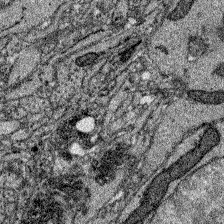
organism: Zebrafish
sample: Larval olfactory bulb